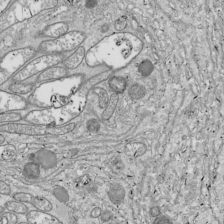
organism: Drosophila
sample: Cell division; meiosis; drosophila spermatocytes